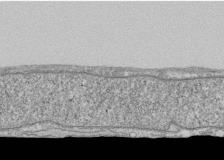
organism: Human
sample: Fibroblast cells